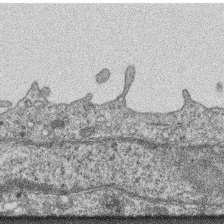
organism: Mouse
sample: Centriole in ependymal cells